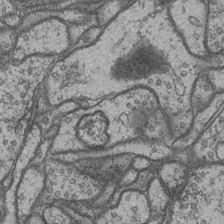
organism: Drosophila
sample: Optic medulla